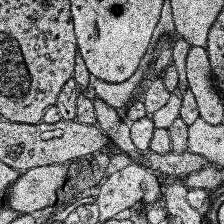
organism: Human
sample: Temporal Lobe